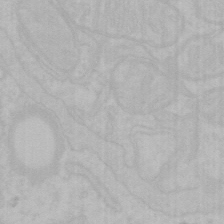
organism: Mouse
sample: Choroid plexus